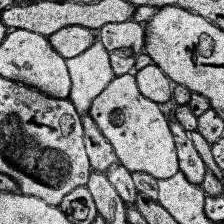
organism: Human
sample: Temporal Lobe